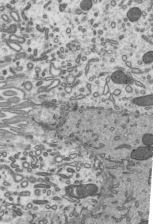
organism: Mouse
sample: Mouse epididymis efferent ductule cilia